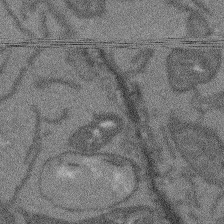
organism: Arabidopsis thaliana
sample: Root tip